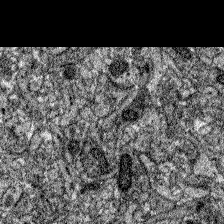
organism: Zebrafish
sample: Larval olfactory bulb